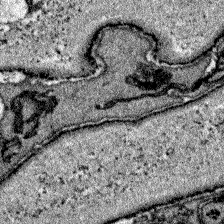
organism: Zebrafish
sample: Larval olfactory bulb